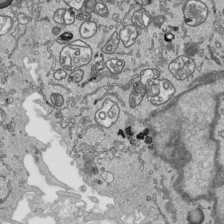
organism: Human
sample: Mitochondria in HCT116 cells